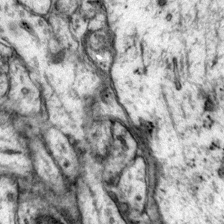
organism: Mouse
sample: Primary visual cortex